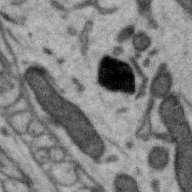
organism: Zebra finch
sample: Brain